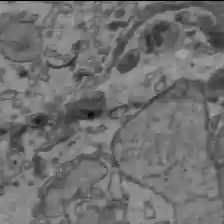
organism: C57BL Mouse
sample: Liver